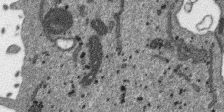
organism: Human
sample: Lung epithelial cells infected with SARS-CoV-2